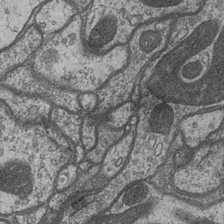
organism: Drosophila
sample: Optic medulla